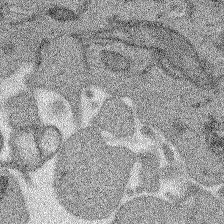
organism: Human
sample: HeLa cells